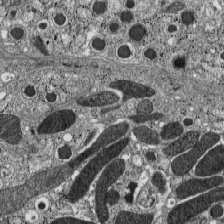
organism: C57BL Mouse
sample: Pancreatic islet